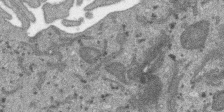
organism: Human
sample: Lung epithelial cells infected with SARS-CoV-2